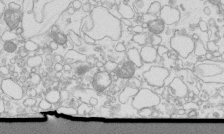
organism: Mouse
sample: Macrophages